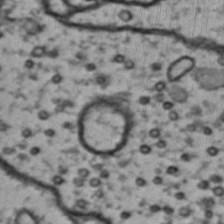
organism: Drosophila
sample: Brain